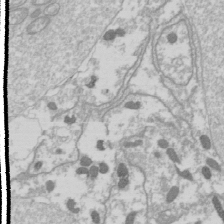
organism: Drosophila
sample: Cell division; meiosis; drosophila spermatocytes